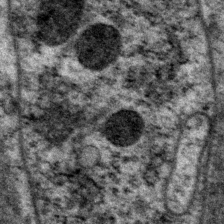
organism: P. pacificus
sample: Pharynx